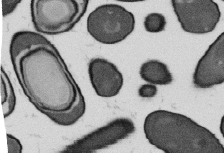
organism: B. subtilis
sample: Bacterial spore